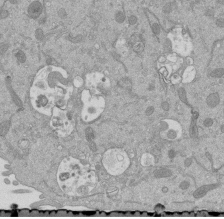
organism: Mouse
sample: ED-1 cell nuclei; centrioles